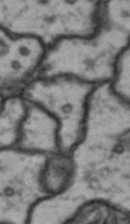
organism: Drosophila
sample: Brain